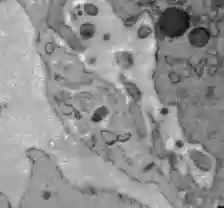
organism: C57BL Mouse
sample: Liver